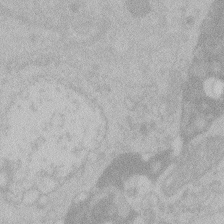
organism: Zebrafish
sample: Macrophage infected with Toxoplasma gondii